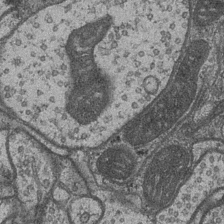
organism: Drosophila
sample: Optic medulla